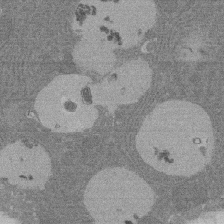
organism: Rat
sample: Salivary granule